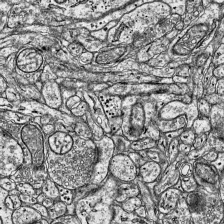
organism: Mouse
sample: Visual Cortex